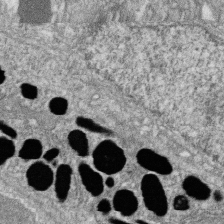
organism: Zebrafish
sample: Cilia; retinal pigment epithelium